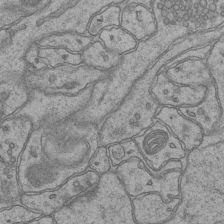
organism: Mouse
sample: CA1 Hippocampus